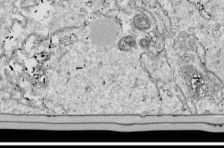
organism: Drosophila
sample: Cell division; meiosis; drosophila spermatocytes